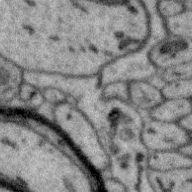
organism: Zebra finch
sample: Brain